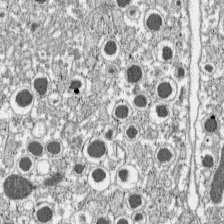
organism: C57BL Mouse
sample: Pancreatic islet